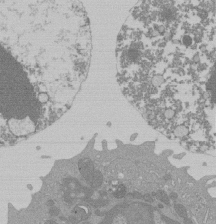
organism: Mouse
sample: Activated Pmel transgenic CD8+ T Cells